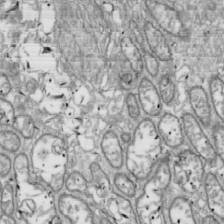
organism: Drosophila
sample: Cell division; meiosis; drosophila spermatocytes